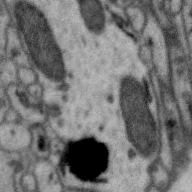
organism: Zebra finch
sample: Brain